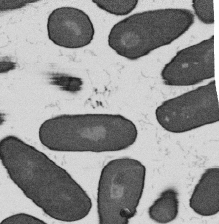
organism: B. subtilis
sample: Bacterial spore